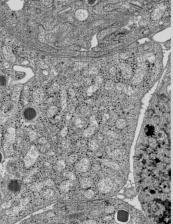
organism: C57BL Mouse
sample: Pancreatic islet